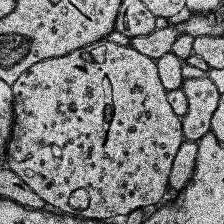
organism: Human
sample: Temporal Lobe